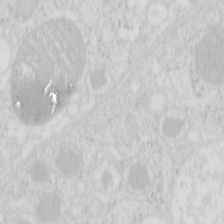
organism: Mouse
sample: Pancreas